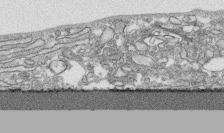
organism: Human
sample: CRL-1474